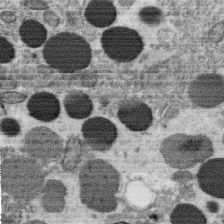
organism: C. elegans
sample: C. elegans oocyte; sperm cells